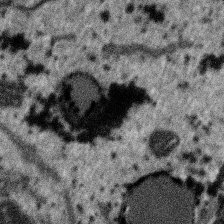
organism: Human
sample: Lung epithelial cells infected with SARS-CoV-2